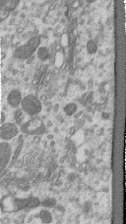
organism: Human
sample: Centriole in RPE cells